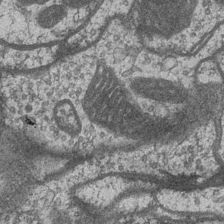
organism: Drosophila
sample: Optic medulla